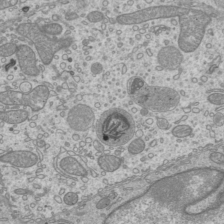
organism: Mouse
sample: Cilia; mouse epididymis